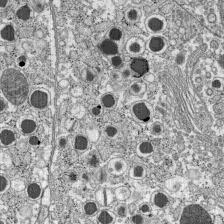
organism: C57BL Mouse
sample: Pancreatic islet